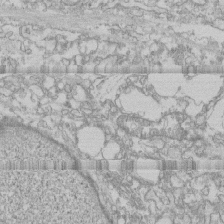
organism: Human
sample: CRL-1474